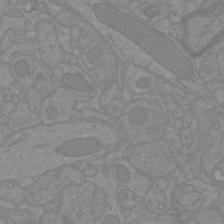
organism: Mouse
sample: Cortical neurons